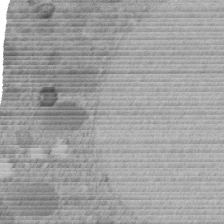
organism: C. elegans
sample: C. elegans embryo early stage